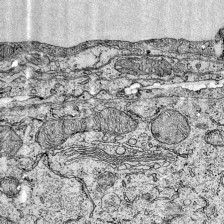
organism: Mouse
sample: Visual Cortex